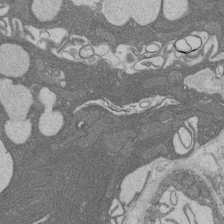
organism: Rat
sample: Salivary granule